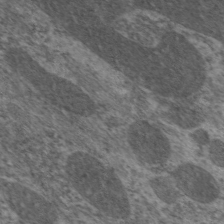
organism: C. elegans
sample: Pharynx